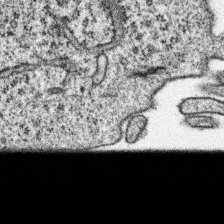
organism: Human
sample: HeLa cells